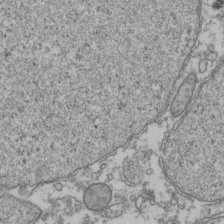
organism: Human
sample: Activated Jurkat CD4+ T cells